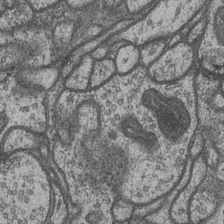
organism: Drosophila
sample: Optic medulla